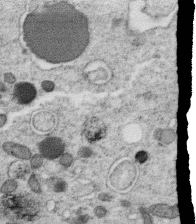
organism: C. elegans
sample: C. elegans oocyte; sperm cells